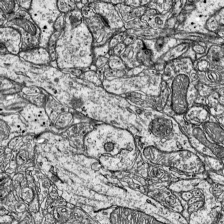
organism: Mouse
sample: Visual Cortex